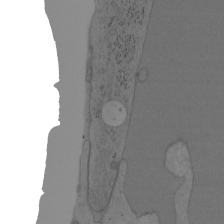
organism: Mouse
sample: OT-I killer T cells with ID8 ovarian cancer cells